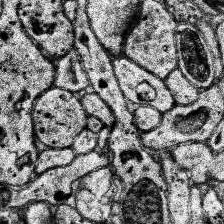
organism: Human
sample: Temporal Lobe